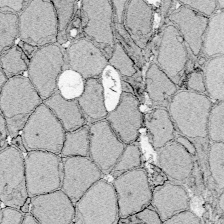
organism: Zebrafish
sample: Whole-Brain